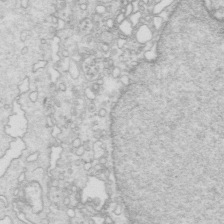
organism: Mouse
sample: Multiciliated cells